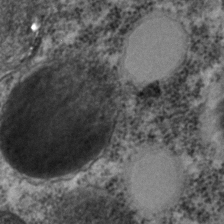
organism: C. elegans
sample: C. elegans embryo